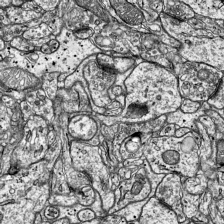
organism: Mouse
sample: Visual Cortex